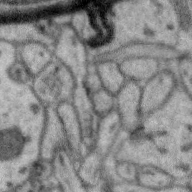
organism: Zebra finch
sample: Brain